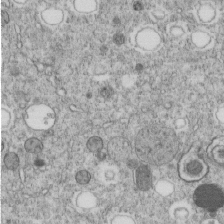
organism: C. elegans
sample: C. elegans embryo early stage